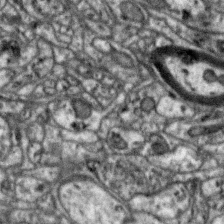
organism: Zebra finch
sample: Brain